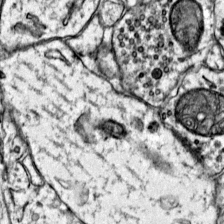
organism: Mouse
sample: Primary visual cortex